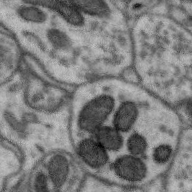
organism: Zebra finch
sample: Brain